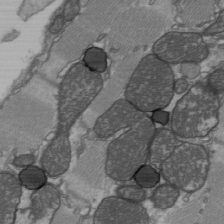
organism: C57BL Mouse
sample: Heart